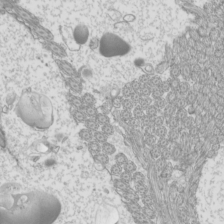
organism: Mouse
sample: Cilia; mouse epididymis